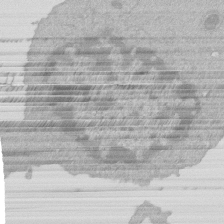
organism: Mouse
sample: Activated Pmel transgenic CD8+ T Cells